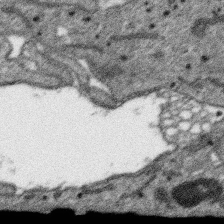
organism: Human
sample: Lung epithelial cells infected with SARS-CoV-2